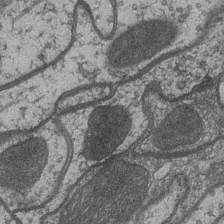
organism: Drosophila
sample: Optic medulla